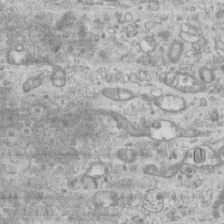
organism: Mouse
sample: Centriole in ependymal cells